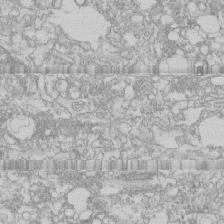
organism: Human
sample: CRL-1474